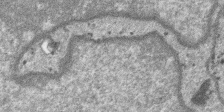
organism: Human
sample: Lung epithelial cells infected with SARS-CoV-2